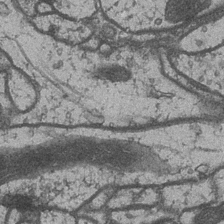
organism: Drosophila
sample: Optic medulla